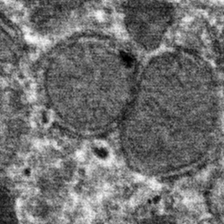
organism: Mouse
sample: Mouse hepatocytes